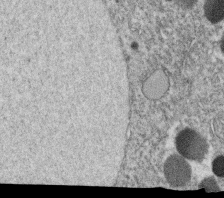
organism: C. elegans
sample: C. elegans oocyte; sperm cells